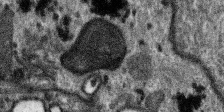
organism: Human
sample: Lung epithelial cells infected with SARS-CoV-2